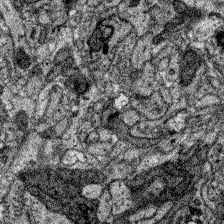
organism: Zebrafish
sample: Larval olfactory bulb